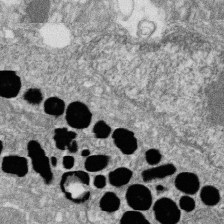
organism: Zebrafish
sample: Cilia; retinal pigment epithelium